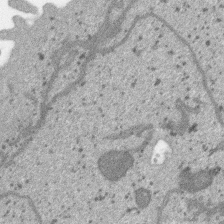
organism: Human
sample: Lung epithelial cells infected with SARS-CoV-2